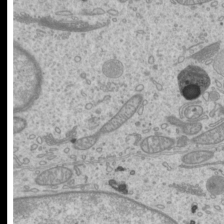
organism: Mouse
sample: Cilia; mouse epididymis